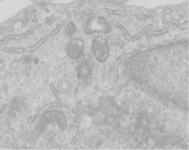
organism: Human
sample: Centriole in RPE cells